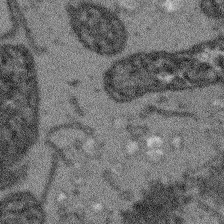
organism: Arabidopsis thaliana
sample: Root tip